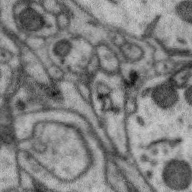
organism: Zebra finch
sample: Brain